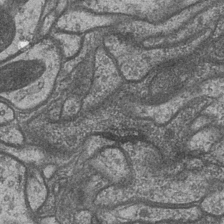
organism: Drosophila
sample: Optic medulla